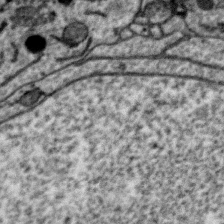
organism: Zebra finch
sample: Brain